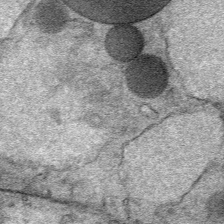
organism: Mouse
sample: Mouse Salivary gland